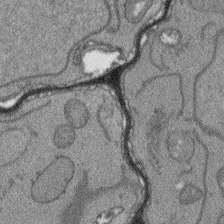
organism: Arabidopsis thaliana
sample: Root tip